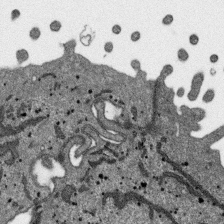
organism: Human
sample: Lung epithelial cells, uninfected (mock) control